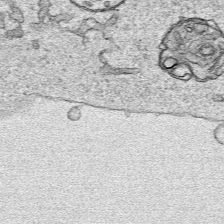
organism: Human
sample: Mitochondria in HCT116 cells